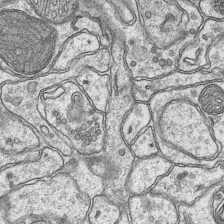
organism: Mouse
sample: CA1 Hippocampus